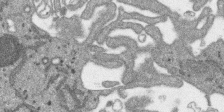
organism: Human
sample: Lung epithelial cells infected with SARS-CoV-2